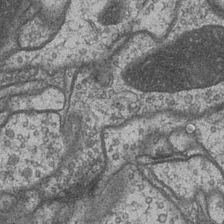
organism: Drosophila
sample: Optic medulla